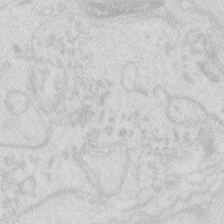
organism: Zebrafish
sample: Macrophage